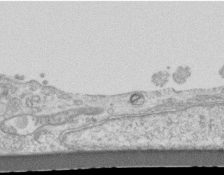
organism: Mouse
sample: Centriole in ependymal cells